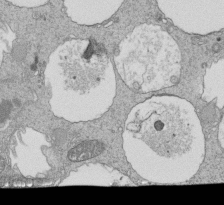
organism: Tetrahymena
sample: Cilia in tetrahymena